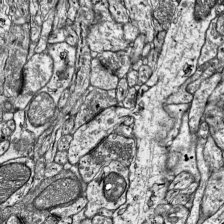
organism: Mouse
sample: Visual Cortex